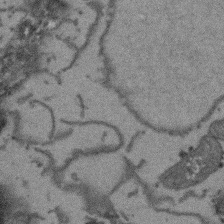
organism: Arabidopsis thaliana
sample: Root tip